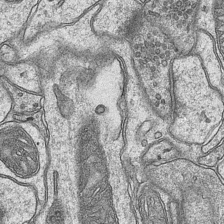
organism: Mouse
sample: CA1 Hippocampus